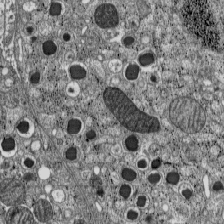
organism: C57BL Mouse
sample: Pancreatic islet